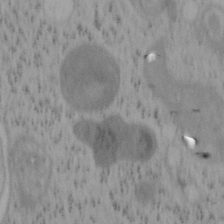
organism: Mouse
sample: OT-I killer T cells with ID8 ovarian cancer cells